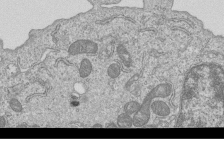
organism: Human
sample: MDA-MB-231 cells